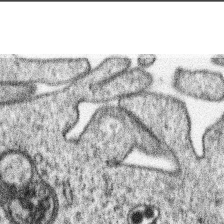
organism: Human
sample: HeLa cells